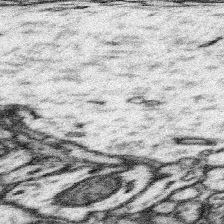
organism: Mouse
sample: Somatosensory cortex neuropil